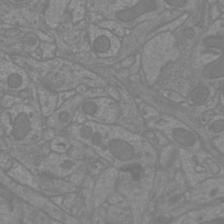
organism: Mouse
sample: Cortical neurons